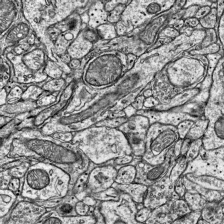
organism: Mouse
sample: Visual Cortex